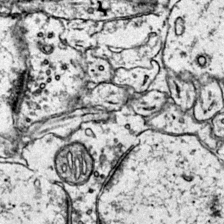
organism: Mouse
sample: Primary visual cortex